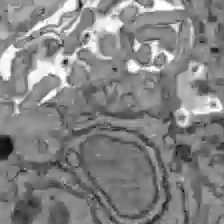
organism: C57BL Mouse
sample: Liver